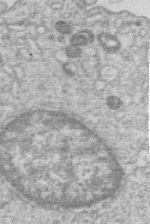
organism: Human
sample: Macrophage cells